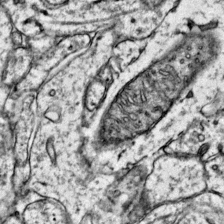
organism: Mouse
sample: Primary visual cortex